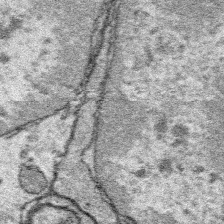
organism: Platynereis dumerilii